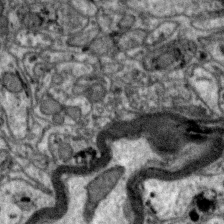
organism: Zebra finch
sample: Brain